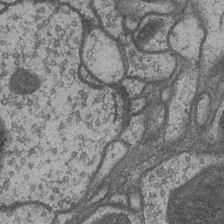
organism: Drosophila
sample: Optic medulla